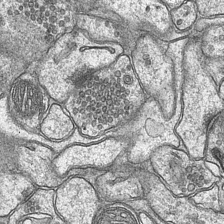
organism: Mouse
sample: CA1 Hippocampus